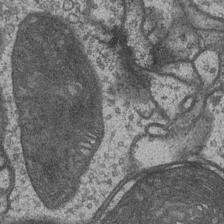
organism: Drosophila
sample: Optic medulla